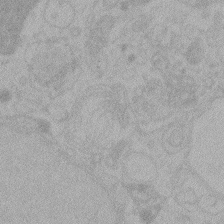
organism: Zebrafish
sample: Macrophage infected with Toxoplasma gondii